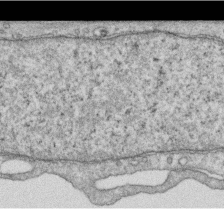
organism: Human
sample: Centriole in RPE cells